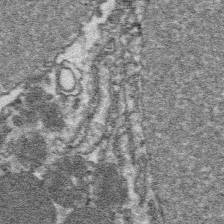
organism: Platynereis dumerilii